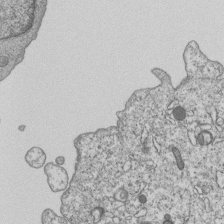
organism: Human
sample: MDA-MB-231 cells